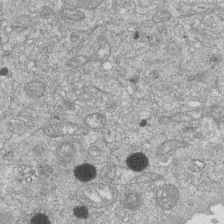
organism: Human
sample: HeLa cell HIV synapse